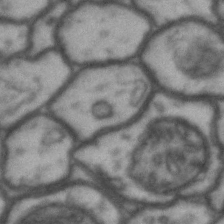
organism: Drosophila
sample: Brain